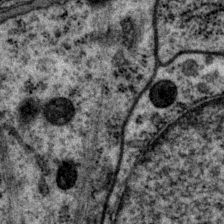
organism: P. pacificus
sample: Pharynx